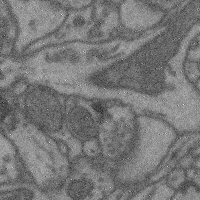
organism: Mouse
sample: Cerebral cortex